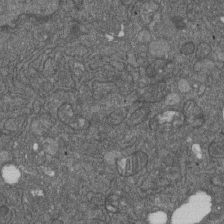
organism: Drosophila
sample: Nephrocyte